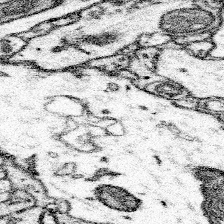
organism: Mouse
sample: Somatosensory cortex neuropil